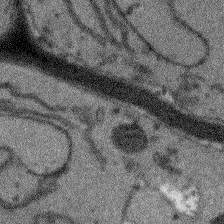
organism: Arabidopsis thaliana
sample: Root tip